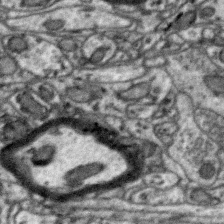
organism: Zebra finch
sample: Brain